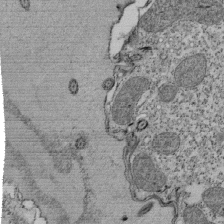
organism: Tetrahymena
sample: Cilia in tetrahymena